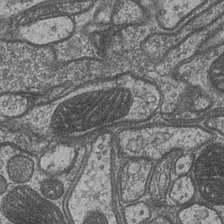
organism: Drosophila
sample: Optic medulla